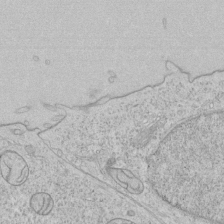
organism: Human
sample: Mitochondria in HCT116 cells